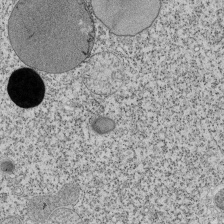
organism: Tetrahymena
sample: Cilia in tetrahymena